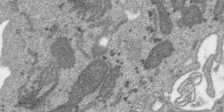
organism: Human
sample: Lung epithelial cells infected with SARS-CoV-2